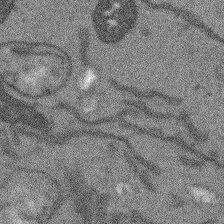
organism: Arabidopsis thaliana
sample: Root tip